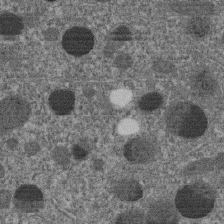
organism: C. elegans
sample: C. elegans embryo early stage